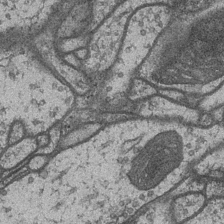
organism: Drosophila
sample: Optic medulla